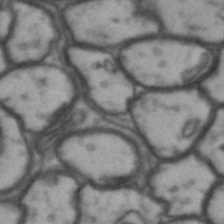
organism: Drosophila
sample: Brain